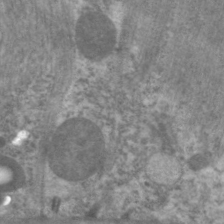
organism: C. elegans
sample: Pharynx